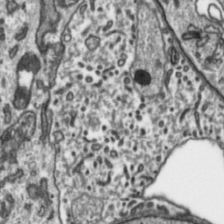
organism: Toxoplasma gondii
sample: Parasites in a vacuole inside a host cell